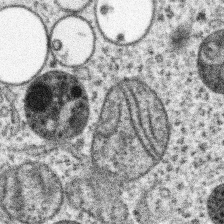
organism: Human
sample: HeLa cells